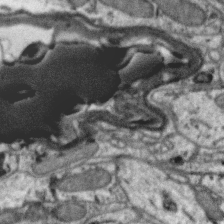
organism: Zebra finch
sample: Brain